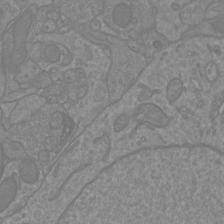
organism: Mouse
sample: Cortical neurons